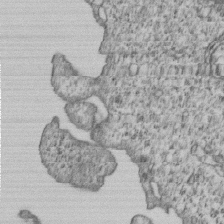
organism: Human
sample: MDA-MB-231 cells